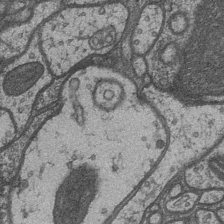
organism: Drosophila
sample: Optic medulla